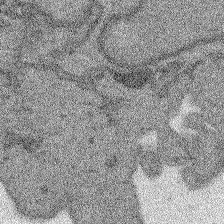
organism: Human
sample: HeLa cells